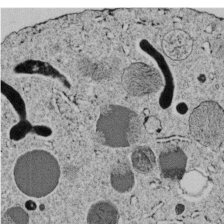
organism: C. elegans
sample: C. elegans embryo early stage